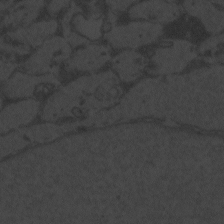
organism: Zebrafish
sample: Macrophage infected with Toxoplasma gondii